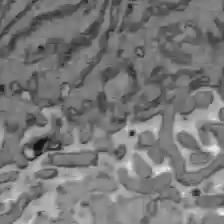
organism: C57BL Mouse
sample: Liver